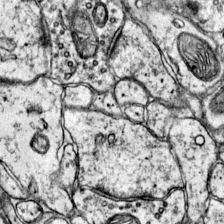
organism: Mouse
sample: Primary visual cortex